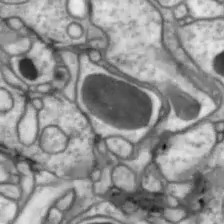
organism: Drosophila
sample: Optic lobe